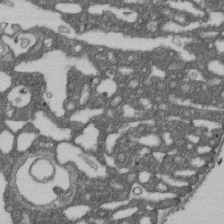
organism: Drosophila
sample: Nephrocyte